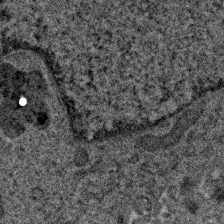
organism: Human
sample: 1205lu cells